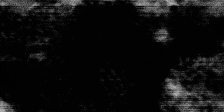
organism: Human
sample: Lung epithelial cells infected with SARS-CoV-2